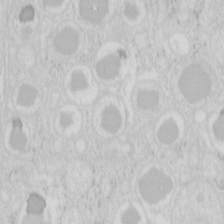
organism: Mouse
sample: Pancreas